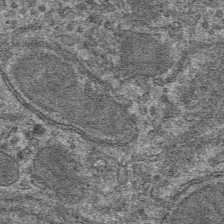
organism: Mouse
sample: Mouse hepatocytes